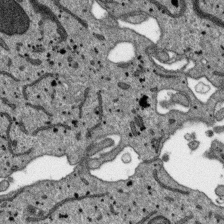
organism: Human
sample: Lung epithelial cells, uninfected (mock) control